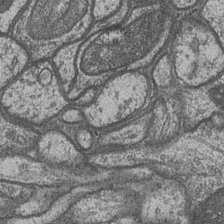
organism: Drosophila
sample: Optic medulla